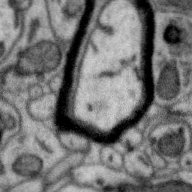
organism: Zebra finch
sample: Brain